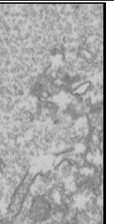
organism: Drosophila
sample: Cell division; meiosis; drosophila spermatocytes